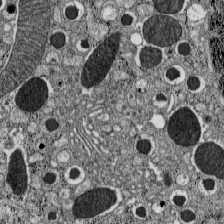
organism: C57BL Mouse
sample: Pancreatic islet